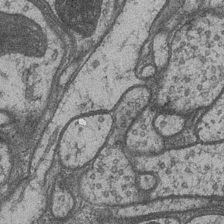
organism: Drosophila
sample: Optic medulla